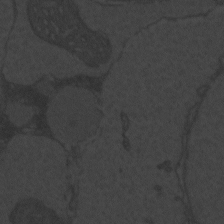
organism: Zebrafish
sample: Macrophage infected with Toxoplasma gondii